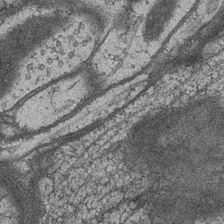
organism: Drosophila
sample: Optic medulla